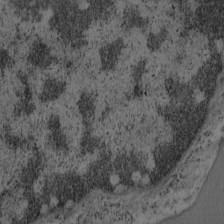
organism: Mouse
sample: OT-I killer T cells with ID8 ovarian cancer cells